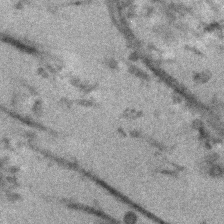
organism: Human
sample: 1205lu cells